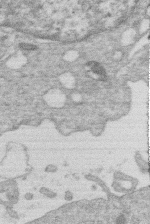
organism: Human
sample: Macrophage cells